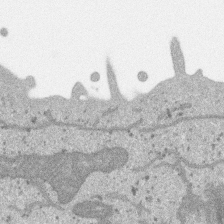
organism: Human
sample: Lung epithelial cells infected with SARS-CoV-2